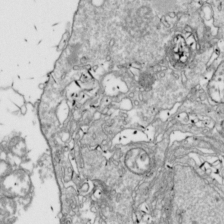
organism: Drosophila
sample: Cell division; meiosis; drosophila spermatocytes